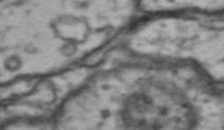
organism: Drosophila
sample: Brain